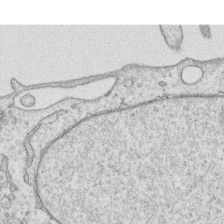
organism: Human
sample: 1205lu cells